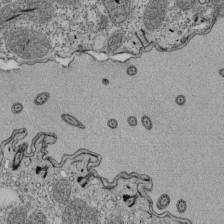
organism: Tetrahymena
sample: Cilia in tetrahymena